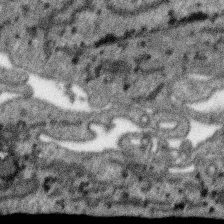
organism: Human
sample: Lung epithelial cells infected with SARS-CoV-2